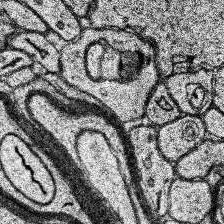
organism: Human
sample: Temporal Lobe